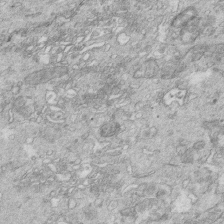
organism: Mouse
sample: Multiciliated cells